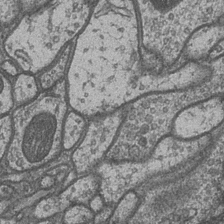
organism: Drosophila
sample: Optic medulla